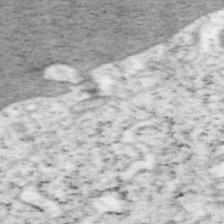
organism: Mouse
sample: OT-I killer T cells with ID8 ovarian cancer cells